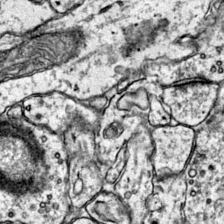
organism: Mouse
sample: Primary visual cortex